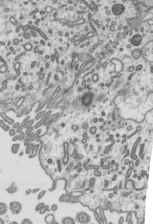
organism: Mouse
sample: Mouse epididymis efferent ductule cilia